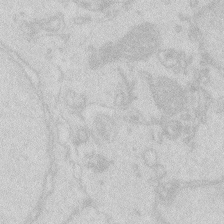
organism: Zebrafish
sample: Macrophage